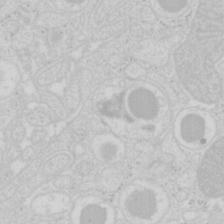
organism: Mouse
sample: Pancreas